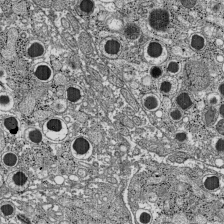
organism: C57BL Mouse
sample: Pancreatic islet